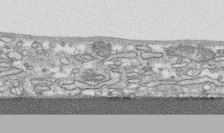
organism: Human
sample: CRL-1474